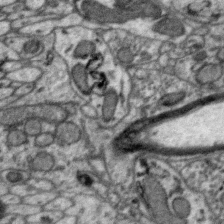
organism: Zebra finch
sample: Brain